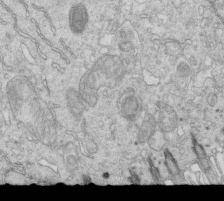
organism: Mouse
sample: Multiciliated cells